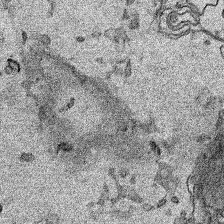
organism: Human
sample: Mitochondria in HCT116 cells